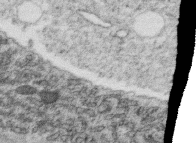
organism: C. elegans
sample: C. elegans oocyte; sperm cells